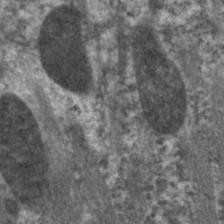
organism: C. elegans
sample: Pharynx